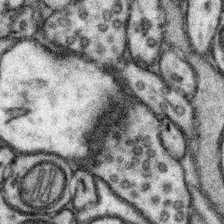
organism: Mouse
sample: Somatosensory cortex neuropil